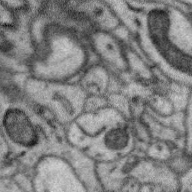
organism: Zebra finch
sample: Brain